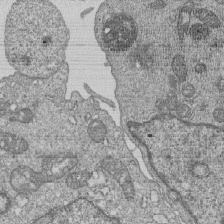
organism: Human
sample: MDA-MB-231 cells